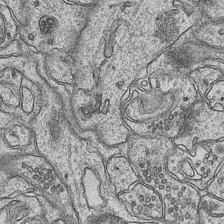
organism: Mouse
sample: CA1 Hippocampus